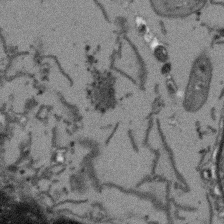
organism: Arabidopsis thaliana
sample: Root tip